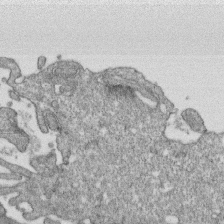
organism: African green monkey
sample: Vero E6 cells infected with SARS-CoV-2